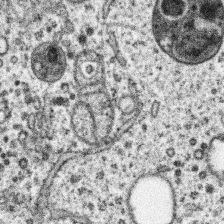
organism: Human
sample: HeLa cells